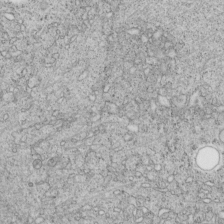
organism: C. elegans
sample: C. elegans embryo early stage